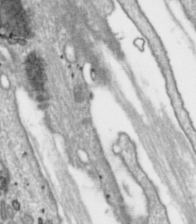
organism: Toxoplasma gondii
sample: Parasites in a vacuole inside a host cell